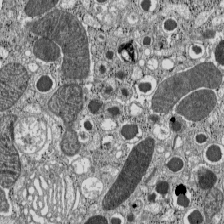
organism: C57BL Mouse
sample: Pancreatic islet